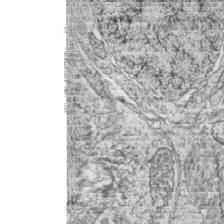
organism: Zebrafish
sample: synaptic ribbons in rod cells and cone cells